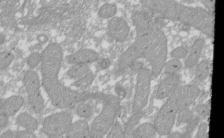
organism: Xenopus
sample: Cilia; centrioles in frog embryo cells